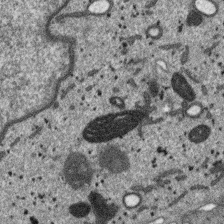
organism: Human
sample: Lung epithelial cells infected with SARS-CoV-2